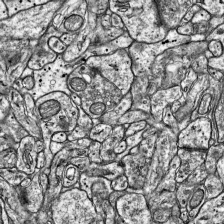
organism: Mouse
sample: Visual Cortex